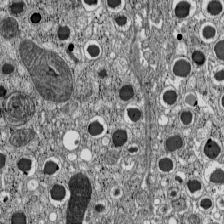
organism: C57BL Mouse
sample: Pancreatic islet